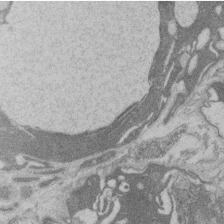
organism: Rat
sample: Salivary granule